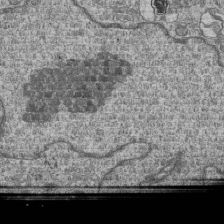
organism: Human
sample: MDA-MB-231 cells